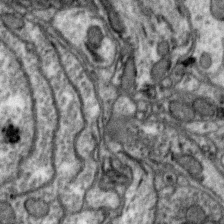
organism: Zebra finch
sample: Brain